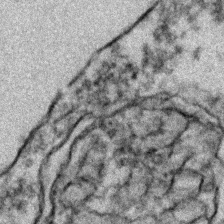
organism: Zebrafish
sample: Zebrafish embryo